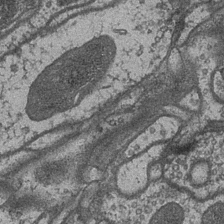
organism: Drosophila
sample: Optic medulla